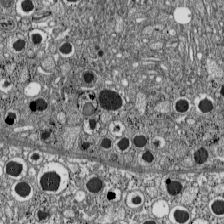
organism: C57BL Mouse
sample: Pancreatic islet